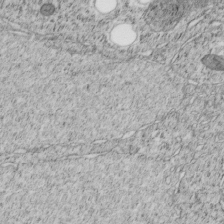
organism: C. elegans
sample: C. elegans embryo early stage